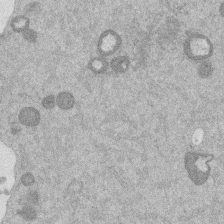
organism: Mouse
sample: Dividing mouse embryo 1 cell stage